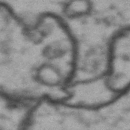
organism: Drosophila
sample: Brain